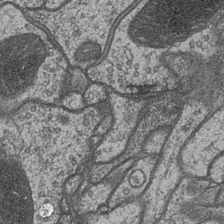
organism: Drosophila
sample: Optic medulla